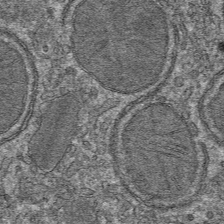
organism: Mouse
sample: Mouse hepatocytes